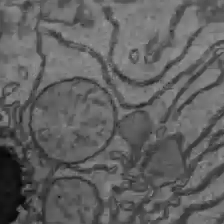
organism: C57BL Mouse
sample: Liver